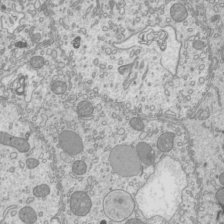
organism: Mouse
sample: Cilia; mouse epididymis